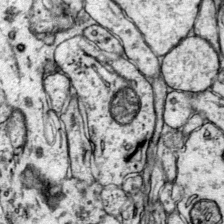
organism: Mouse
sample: Primary visual cortex